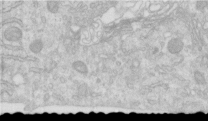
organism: Human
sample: Centriole in RPE cells